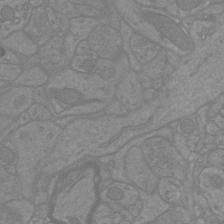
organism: Mouse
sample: Cortical neurons